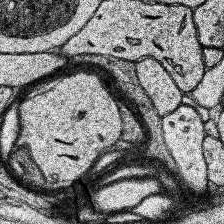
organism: Human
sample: Temporal Lobe